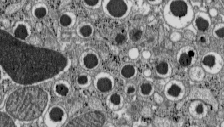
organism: C57BL Mouse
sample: Pancreatic islet